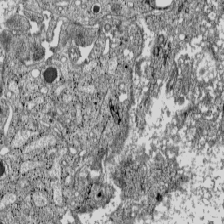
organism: C57BL Mouse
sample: Pancreatic islet